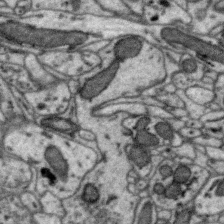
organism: Zebra finch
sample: Brain